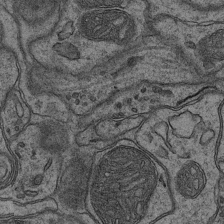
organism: Mouse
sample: CA1 Hippocampus